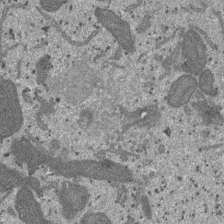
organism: Human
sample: Lung epithelial cells infected with SARS-CoV-2